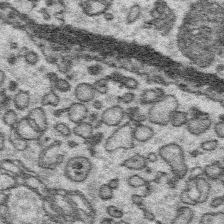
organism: Platynereis dumerilii